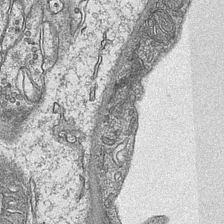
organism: Mouse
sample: CA1 Hippocampus